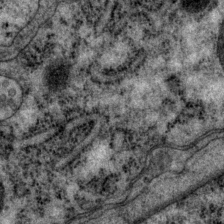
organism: P. pacificus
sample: Pharynx